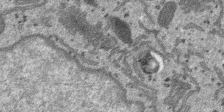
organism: Human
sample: Lung epithelial cells infected with SARS-CoV-2